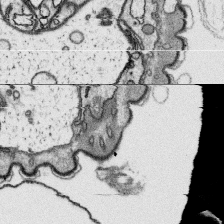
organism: Platynereis dumerilii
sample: Parapodia